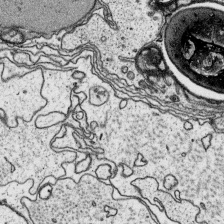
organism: Platynereis dumerilii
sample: Parapodia